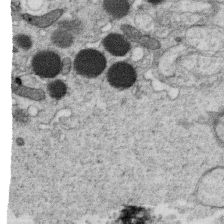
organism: C. elegans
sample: C. elegans oocyte; sperm cells